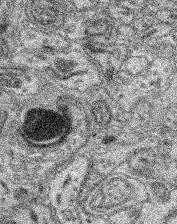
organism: Mouse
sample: Retina